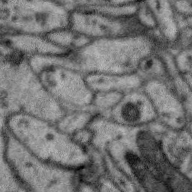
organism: Zebra finch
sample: Brain